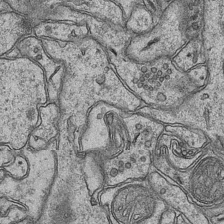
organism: Mouse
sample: CA1 Hippocampus